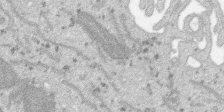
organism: Human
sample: Lung epithelial cells infected with SARS-CoV-2